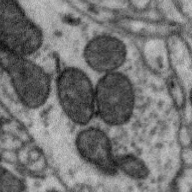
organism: Zebra finch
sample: Brain